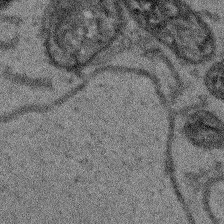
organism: Arabidopsis thaliana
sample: Root tip